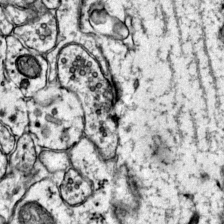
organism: Mouse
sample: Primary visual cortex